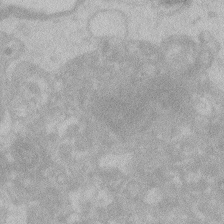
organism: Zebrafish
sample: Macrophage infected with Toxoplasma gondii